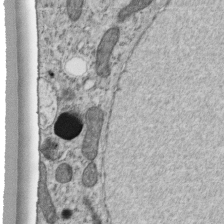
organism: C. elegans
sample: C. elegans embryo early stage